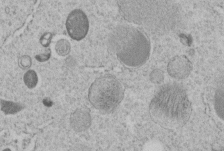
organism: C. elegans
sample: C. elegans embryo early stage